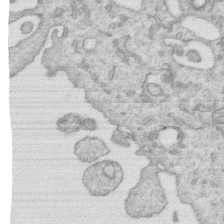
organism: Human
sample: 1205lu cells